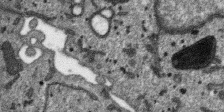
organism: Human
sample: Lung epithelial cells infected with SARS-CoV-2